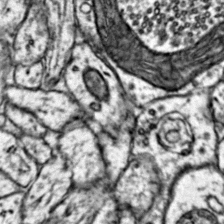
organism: Mouse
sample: Primary visual cortex